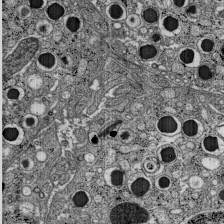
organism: C57BL Mouse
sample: Pancreatic islet